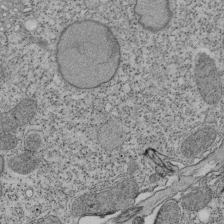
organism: Tetrahymena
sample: Cilia in tetrahymena